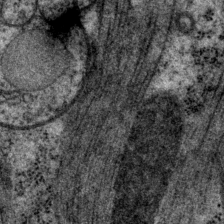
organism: P. pacificus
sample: Pharynx